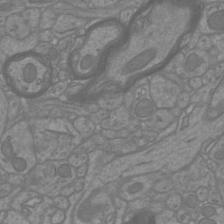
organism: Mouse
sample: Cortical neurons